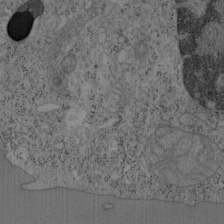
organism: Mouse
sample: OT-I killer T cells with ID8 ovarian cancer cells